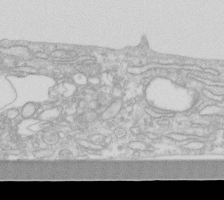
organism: Human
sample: Fibroblast cells